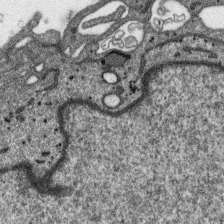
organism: Human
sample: Lung epithelial cells infected with SARS-CoV-2